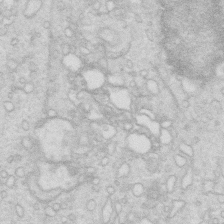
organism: Mouse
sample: Multiciliated cells